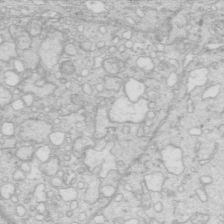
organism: Mouse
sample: Multiciliated cells